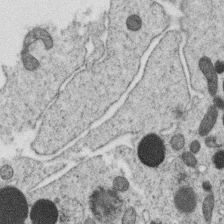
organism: C. elegans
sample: C. elegans oocyte; sperm cells